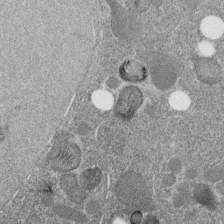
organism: C. elegans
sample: C. elegans embryo early stage